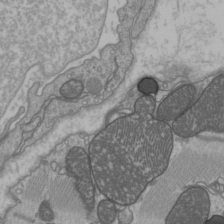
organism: C57BL Mouse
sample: Heart